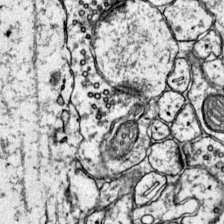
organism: Mouse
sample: Primary visual cortex